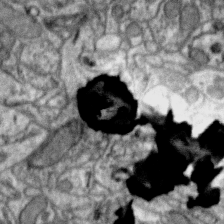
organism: Zebra finch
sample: Brain